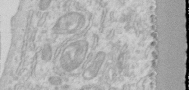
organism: Human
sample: Centriole in RPE cells